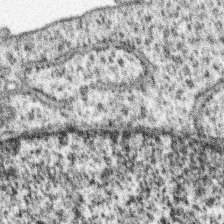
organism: Human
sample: HeLa cells